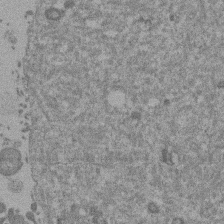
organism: Mouse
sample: Dividing mouse embryo 1 cell stage